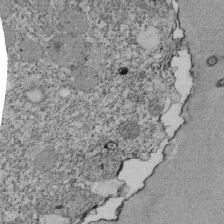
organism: Tetrahymena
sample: Cilia in tetrahymena